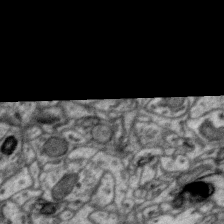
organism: Zebra finch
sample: Brain